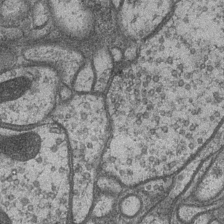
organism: Drosophila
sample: Optic medulla